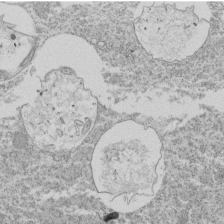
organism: Tetrahymena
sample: Cilia in tetrahymena